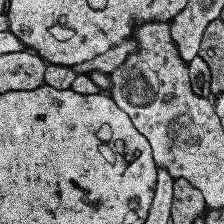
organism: Human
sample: Temporal Lobe